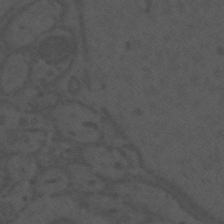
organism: Mouse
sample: Suprachiasmatic nucleus